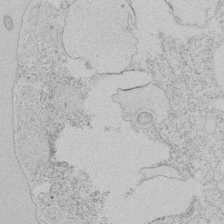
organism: Tetrahymena